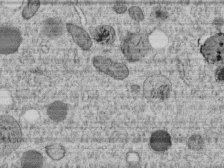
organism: C. elegans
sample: C. elegans embryo early stage